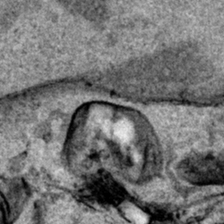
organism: Human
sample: Mitochondria in HCT116 cells